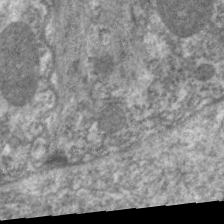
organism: C. elegans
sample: Pharynx